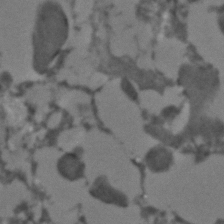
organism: C. elegans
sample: C. elegans embryo